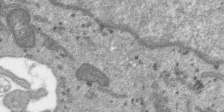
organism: Human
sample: Lung epithelial cells infected with SARS-CoV-2